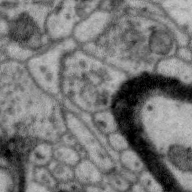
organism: Zebra finch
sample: Brain